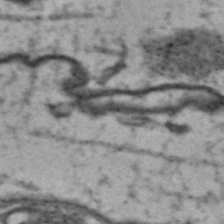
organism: Drosophila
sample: Brain